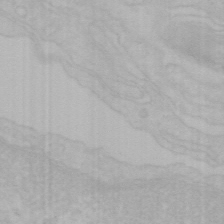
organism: Mouse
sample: Choroid plexus